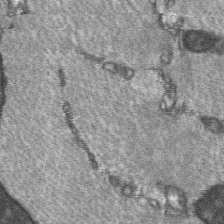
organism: C57BL Mouse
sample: Soleus